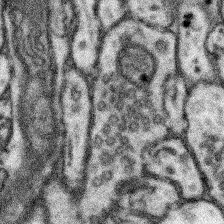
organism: Mouse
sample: Somatosensory cortex neuropil